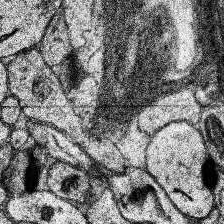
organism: Human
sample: Temporal Lobe